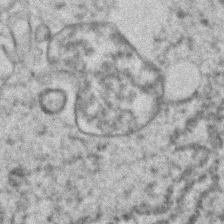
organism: Human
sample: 1205lu cells